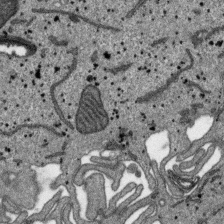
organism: Human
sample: Lung epithelial cells, uninfected (mock) control